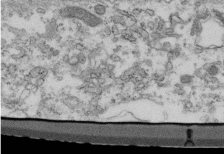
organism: Mouse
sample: Cilia; retinal pigment epithelium